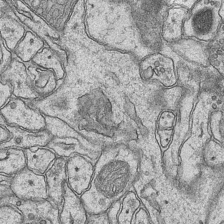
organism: Mouse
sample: CA1 Hippocampus